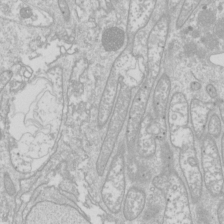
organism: Drosophila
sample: Cell division; meiosis; drosophila spermatocytes